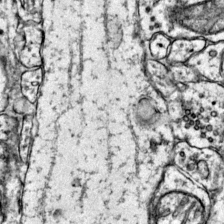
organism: Mouse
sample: Primary visual cortex